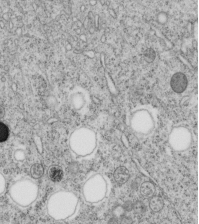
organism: C. elegans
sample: C. elegans embryo early stage